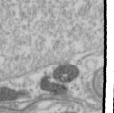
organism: Drosophila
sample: Cell division; meiosis; drosophila spermatocytes